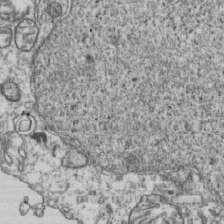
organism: Human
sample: Activated Jurkat CD4+ T cells